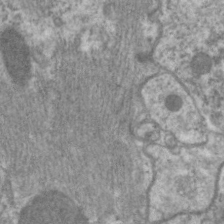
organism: C. elegans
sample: Pharynx